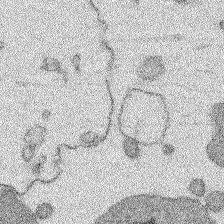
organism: Human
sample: HeLa cells